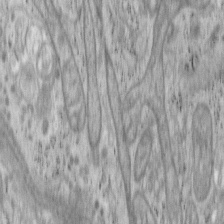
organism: Human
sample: HeLa cells